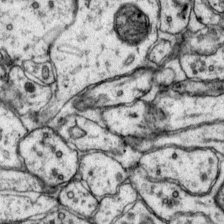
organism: Mouse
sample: Primary visual cortex